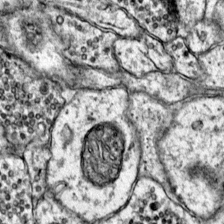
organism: Mouse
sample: Primary visual cortex